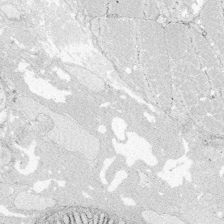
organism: Zebrafish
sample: Whole-Brain